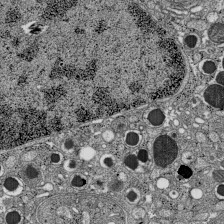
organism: C57BL Mouse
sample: Pancreatic islet